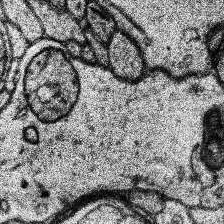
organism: Human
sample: Temporal Lobe